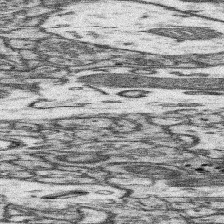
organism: Mouse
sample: Somatosensory cortex neuropil